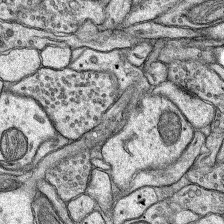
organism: Rat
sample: Hippocampus